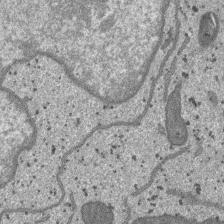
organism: Human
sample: Lung epithelial cells infected with SARS-CoV-2